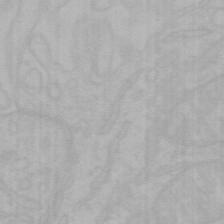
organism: Mouse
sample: Choroid plexus